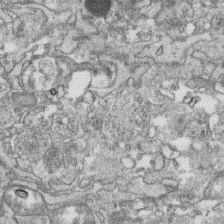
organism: Human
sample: CRL-1474